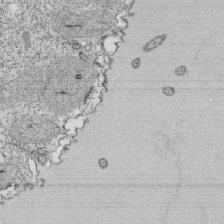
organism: Tetrahymena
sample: Cilia in tetrahymena